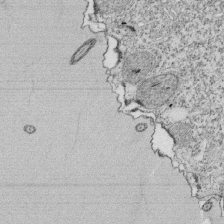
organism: Tetrahymena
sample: Cilia in tetrahymena